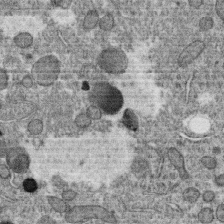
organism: C. elegans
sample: C. elegans oocyte; sperm cells